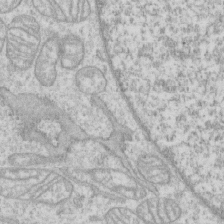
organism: Human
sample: CRL-1474